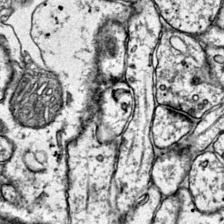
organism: Mouse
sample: Primary visual cortex